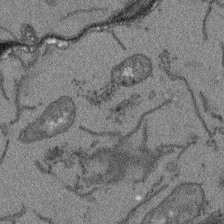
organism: Arabidopsis thaliana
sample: Root tip